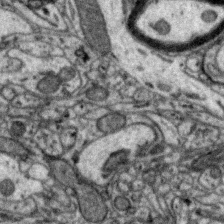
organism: Zebra finch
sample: Brain